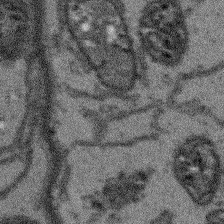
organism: Arabidopsis thaliana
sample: Root tip